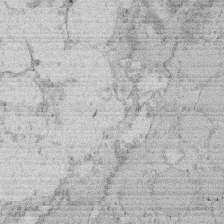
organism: Rat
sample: Salivary granule